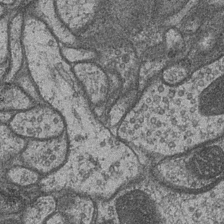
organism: Drosophila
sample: Optic medulla